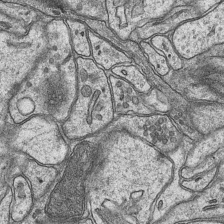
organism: Mouse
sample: CA1 Hippocampus